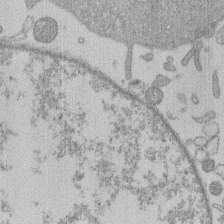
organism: Human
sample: Macrophage cells